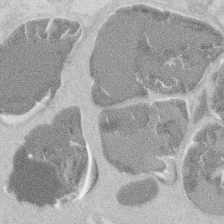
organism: Mouse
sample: T cell stromal cell synapse